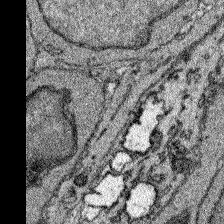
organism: Zebrafish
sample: Larval olfactory bulb